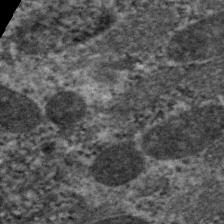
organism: C. elegans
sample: Pharynx